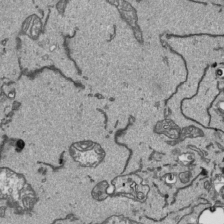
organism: Human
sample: Mitochondria in HCT116 cells